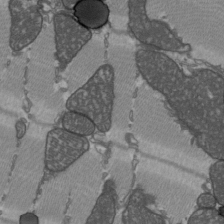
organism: C57BL Mouse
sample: Heart